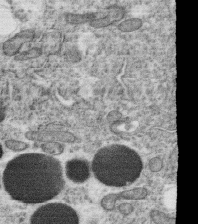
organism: C. elegans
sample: C. elegans oocyte; sperm cells